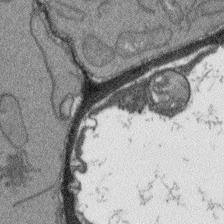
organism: Arabidopsis thaliana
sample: Root tip